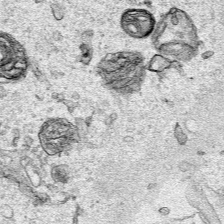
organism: Human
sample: Mitochondria in HCT116 cells